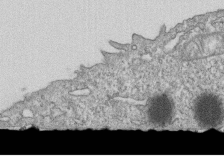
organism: Human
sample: HeLa cell HIV synapse